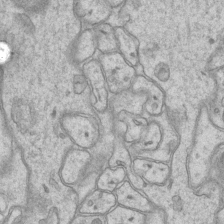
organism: Mouse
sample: CA1 Hippocampus